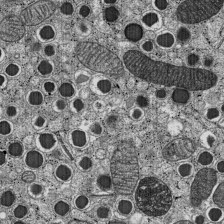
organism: C57BL Mouse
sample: Pancreatic islet